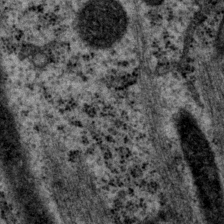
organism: P. pacificus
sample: Pharynx